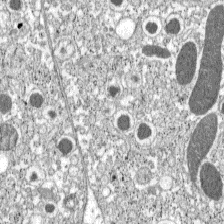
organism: C57BL Mouse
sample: Pancreatic islet